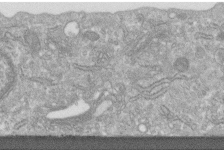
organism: Human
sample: Centriole in fibroblast cells